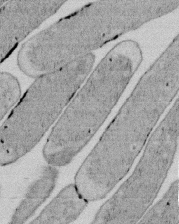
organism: E. coli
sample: Bacterial nucleoid